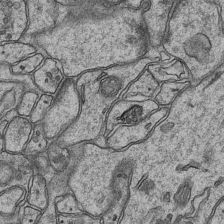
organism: Mouse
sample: CA1 Hippocampus